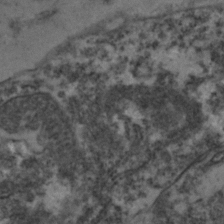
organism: Zebrafish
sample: Zebrafish embryo